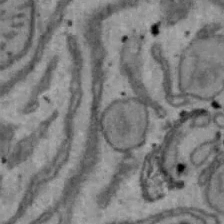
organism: Mouse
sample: Liver